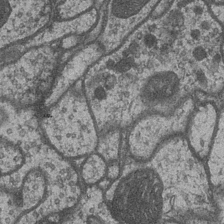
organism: Drosophila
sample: Optic medulla